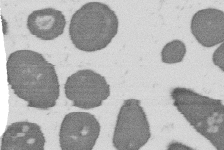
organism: B. subtilis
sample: Bacterial spore